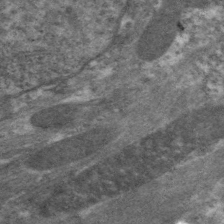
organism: C. elegans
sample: Pharynx